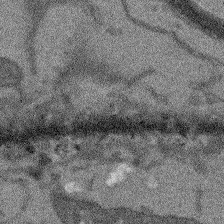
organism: Arabidopsis thaliana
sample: Root tip